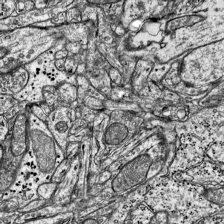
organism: Mouse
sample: Visual Cortex